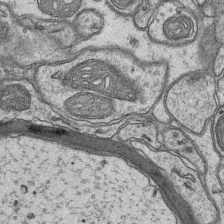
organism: Mouse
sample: CA1 Hippocampus